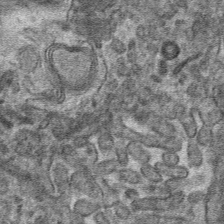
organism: Mouse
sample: Mouse hepatocytes